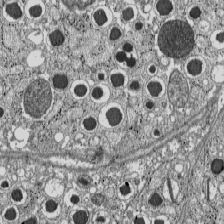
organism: C57BL Mouse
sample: Pancreatic islet